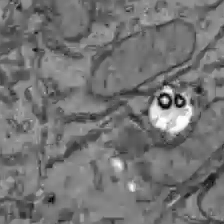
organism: C57BL Mouse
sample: Liver